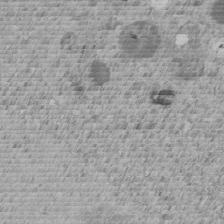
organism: C. elegans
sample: C. elegans embryo early stage